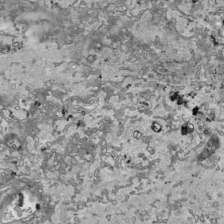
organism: Human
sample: Mitochondria in HCT116 cells